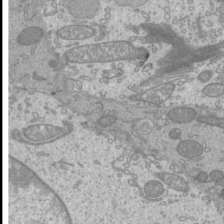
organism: Mouse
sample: Cilia; mouse epididymis